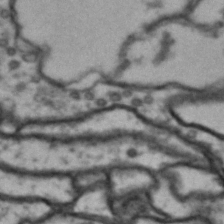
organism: Drosophila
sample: Brain